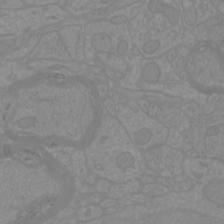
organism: Mouse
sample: Cortical neurons